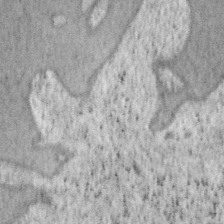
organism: Mouse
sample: OT-I killer T cells with ID8 ovarian cancer cells